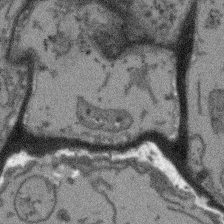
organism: Arabidopsis thaliana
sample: Root tip